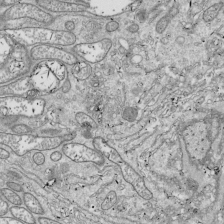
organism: Drosophila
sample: Cell division; meiosis; drosophila spermatocytes